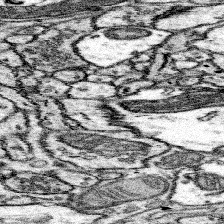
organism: Mouse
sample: Somatosensory cortex neuropil